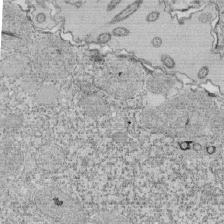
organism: Tetrahymena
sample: Cilia in tetrahymena